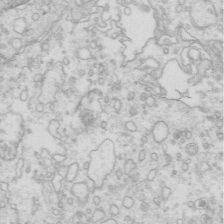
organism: Mouse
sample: Multiciliated cells